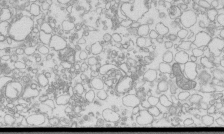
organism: Mouse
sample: Macrophages